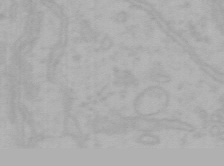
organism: Mouse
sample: Choroid plexus